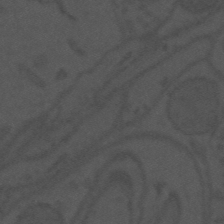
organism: Mouse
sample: Suprachiasmatic nucleus